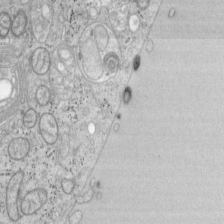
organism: Mouse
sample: OT-I killer T cells with ID8 ovarian cancer cells